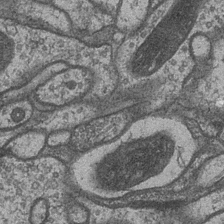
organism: Drosophila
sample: Optic medulla